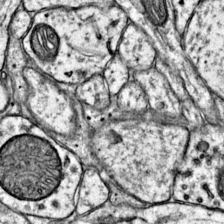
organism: Mouse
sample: Primary visual cortex